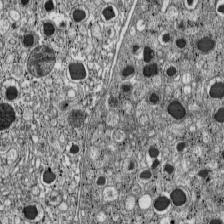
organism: C57BL Mouse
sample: Pancreatic islet